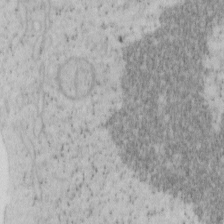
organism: Human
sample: HeLa cells